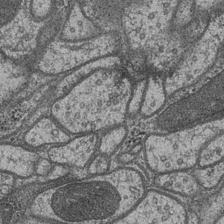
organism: Drosophila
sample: Optic medulla